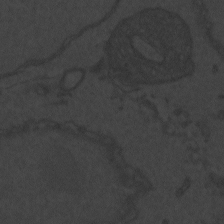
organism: Zebrafish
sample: Macrophage infected with Toxoplasma gondii